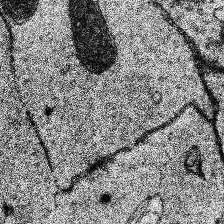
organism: Human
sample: Temporal Lobe